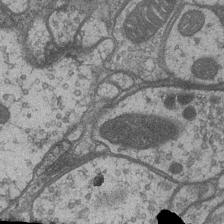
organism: Drosophila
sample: Optic medulla